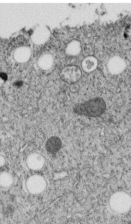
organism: C. elegans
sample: C. elegans embryo early stage